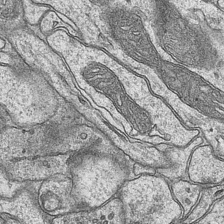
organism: Mouse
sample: CA1 Hippocampus